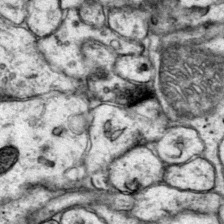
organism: Mouse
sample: Primary visual cortex